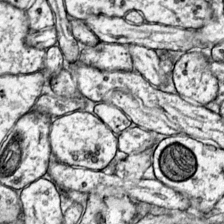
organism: Mouse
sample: Primary visual cortex